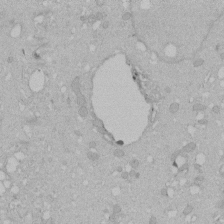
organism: Human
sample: Melanocyte Keratinocyte synapse skin construct